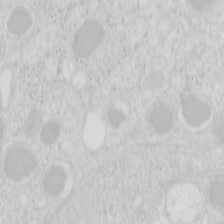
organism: Mouse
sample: Pancreas